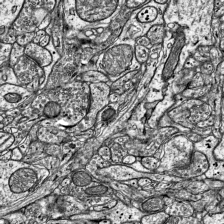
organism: Mouse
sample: Visual Cortex